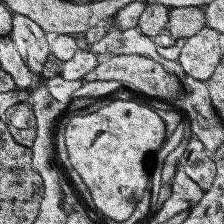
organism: Human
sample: Temporal Lobe